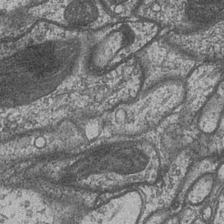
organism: Drosophila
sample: Optic medulla